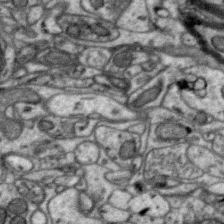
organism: Zebra finch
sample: Brain